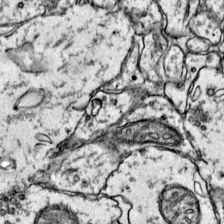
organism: Mouse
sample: Primary visual cortex